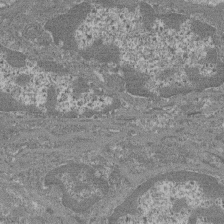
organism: Mouse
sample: Glomerulus